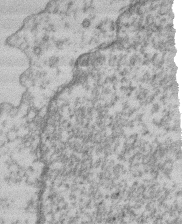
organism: Mouse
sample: T cell stromal cell synapse